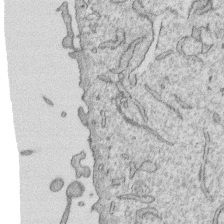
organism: Human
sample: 1205lu cells